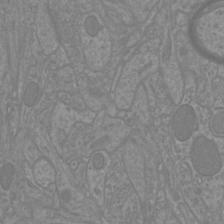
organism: Mouse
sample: Cortical neurons